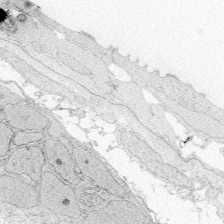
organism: Zebrafish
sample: Whole-Brain